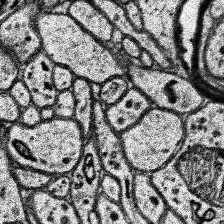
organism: Human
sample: Temporal Lobe